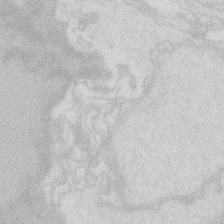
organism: Zebrafish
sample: Macrophage